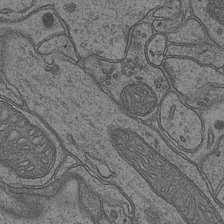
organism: Mouse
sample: CA1 Hippocampus